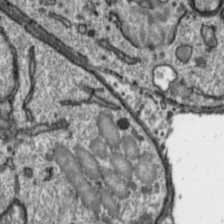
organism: Toxoplasma gondii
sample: Parasites in a vacuole inside a host cell